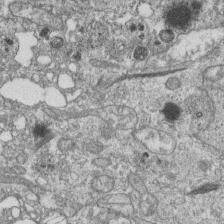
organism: Human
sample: HeLa cell HIV synapse